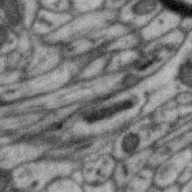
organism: Zebra finch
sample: Brain